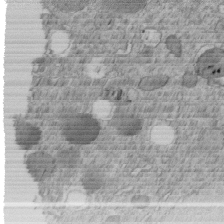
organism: C. elegans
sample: C. elegans embryo early stage